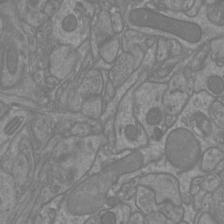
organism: Mouse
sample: Cortical neurons